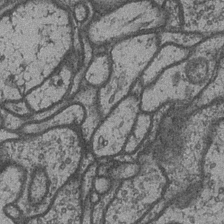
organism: Drosophila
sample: Optic medulla